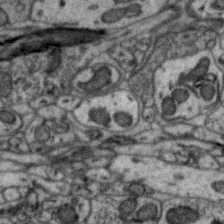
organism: Zebra finch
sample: Brain